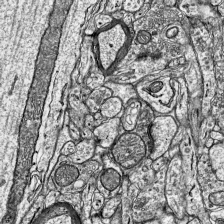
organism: Mouse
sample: Visual Cortex